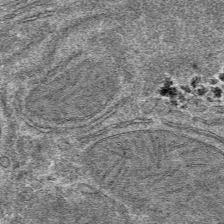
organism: Mouse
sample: Mouse hepatocytes